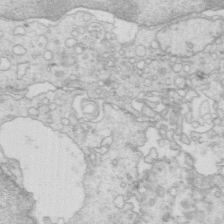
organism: Mouse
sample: Multiciliated cells